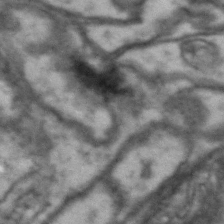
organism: Drosophila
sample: Brain